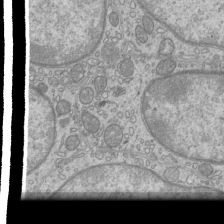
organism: Mouse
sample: Cilia; mouse epididymis